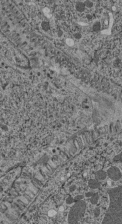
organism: C. elegans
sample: C. elegans pharynx